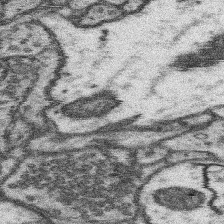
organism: Mouse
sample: Somatosensory cortex neuropil